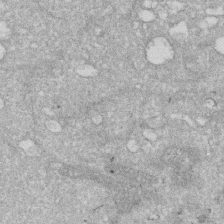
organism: Human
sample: HIV infected U937 cells